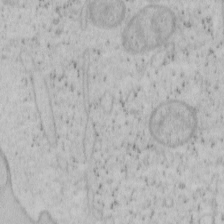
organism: Human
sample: HeLa cells